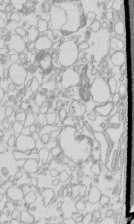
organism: Mouse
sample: Macrophages